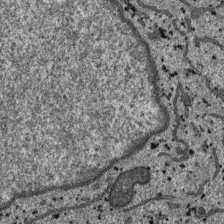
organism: Human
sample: Lung epithelial cells infected with SARS-CoV-2